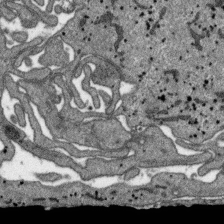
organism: Human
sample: Lung epithelial cells, uninfected (mock) control